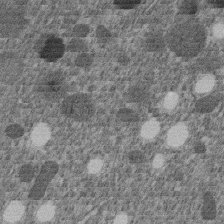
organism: C. elegans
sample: C. elegans embryo early stage